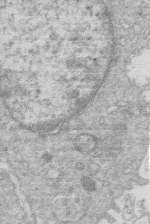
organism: Human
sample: Macrophage cells